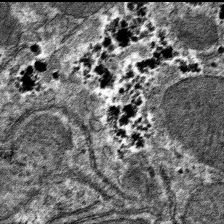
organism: Mouse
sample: Mouse hepatocytes